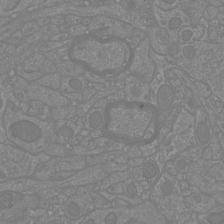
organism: Mouse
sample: Cortical neurons